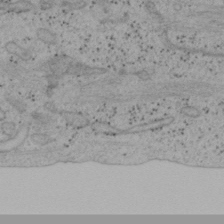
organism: Human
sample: HeLa cells